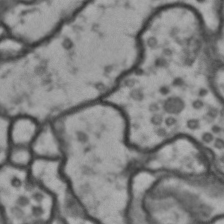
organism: Drosophila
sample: Brain